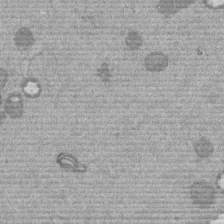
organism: Mouse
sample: Dividing mouse embryo 1 cell stage